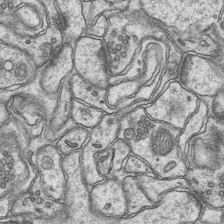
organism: Mouse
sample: CA1 Hippocampus